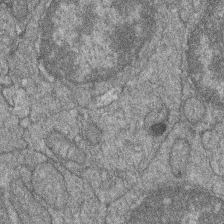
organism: Zebrafish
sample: Cilia; retinal pigment epithelium